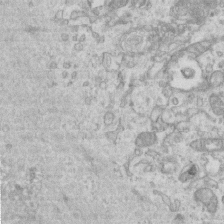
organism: Mouse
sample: Centriole in ependymal cells